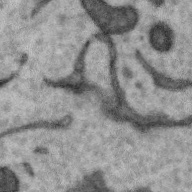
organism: Zebra finch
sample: Brain